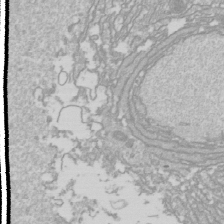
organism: Drosophila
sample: Cell division; meiosis; drosophila spermatocytes